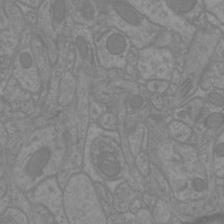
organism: Mouse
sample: Cortical neurons